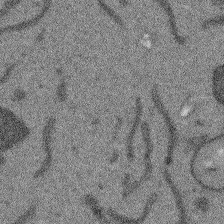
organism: Arabidopsis thaliana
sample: Root tip